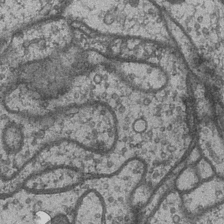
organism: Drosophila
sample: Optic medulla